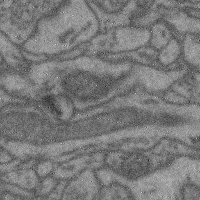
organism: Mouse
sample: Cerebral cortex